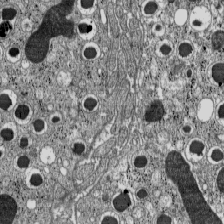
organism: C57BL Mouse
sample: Pancreatic islet